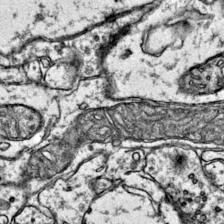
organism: Mouse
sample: Primary visual cortex